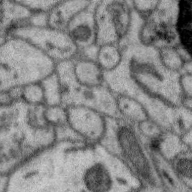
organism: Zebra finch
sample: Brain